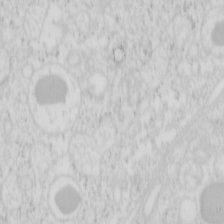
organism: Mouse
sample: Pancreas